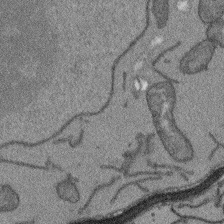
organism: Arabidopsis thaliana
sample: Root tip